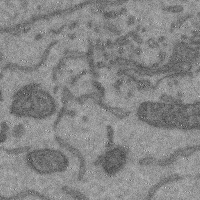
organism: Mouse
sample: Cerebral cortex